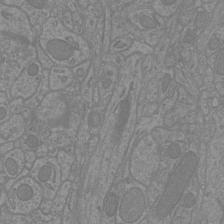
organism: Mouse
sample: Cortical neurons